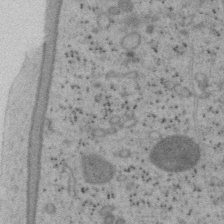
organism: Human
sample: HeLa cells